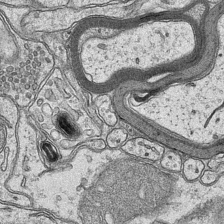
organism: Mouse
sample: CA1 Hippocampus